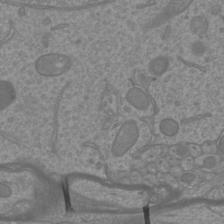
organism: Mouse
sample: Cortical neurons